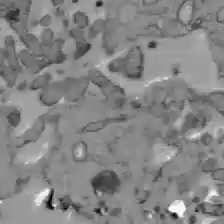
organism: C57BL Mouse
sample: Liver